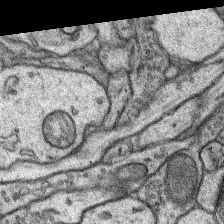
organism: Rat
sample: Hippocampus